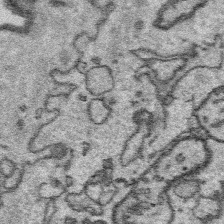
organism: Platynereis dumerilii